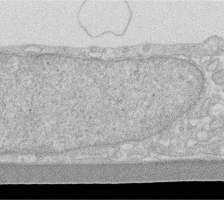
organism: Human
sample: Fibroblast cells